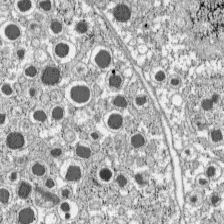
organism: C57BL Mouse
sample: Pancreatic islet